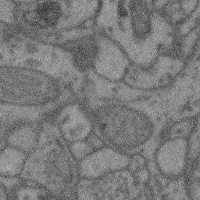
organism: Mouse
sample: Cerebral cortex